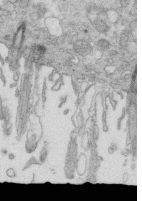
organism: Mouse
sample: Multiciliated cells